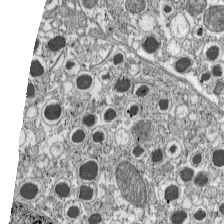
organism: C57BL Mouse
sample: Pancreatic islet